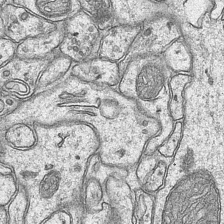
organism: Mouse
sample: CA1 Hippocampus